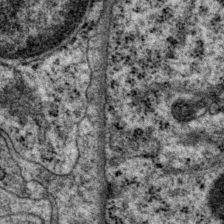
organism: P. pacificus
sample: Pharynx